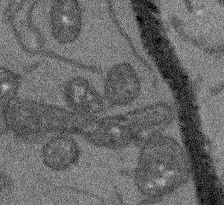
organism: Arabidopsis thaliana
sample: Root tip